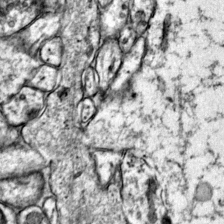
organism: Mouse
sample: Primary visual cortex